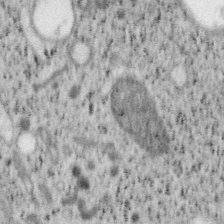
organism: Mouse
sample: OT-I killer T cells with ID8 ovarian cancer cells